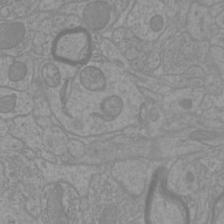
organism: Mouse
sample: Cortical neurons